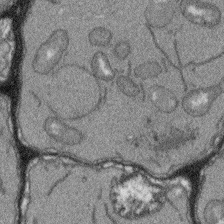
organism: Arabidopsis thaliana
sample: Root tip